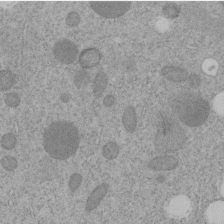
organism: C. elegans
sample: C. elegans embryo early stage